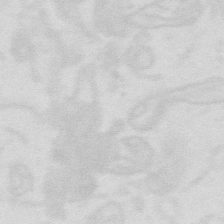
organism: Human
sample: HeLa cells